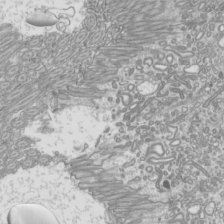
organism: Mouse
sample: Cilia; mouse epididymis